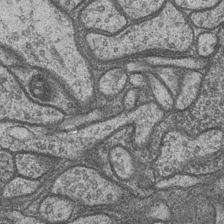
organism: Drosophila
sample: Optic medulla